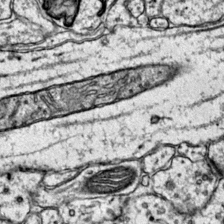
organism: Mouse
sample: Primary visual cortex